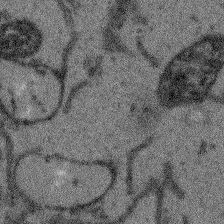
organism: Arabidopsis thaliana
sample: Root tip